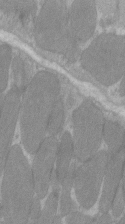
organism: C57BL Mouse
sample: Tibialis anterior muscle cell